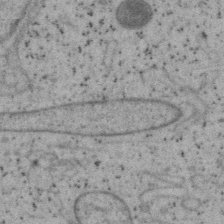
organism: Human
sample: HeLa cells